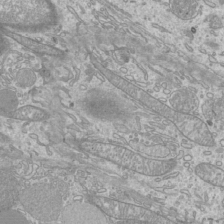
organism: Mouse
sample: Cilia; mouse epididymis